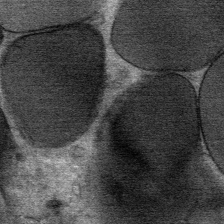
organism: Mouse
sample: Mouse Salivary gland